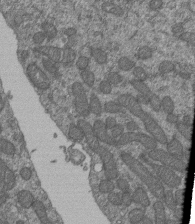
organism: Human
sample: Retinal organoid Rod and Cone cells